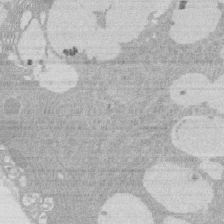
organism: Rat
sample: Salivary granule